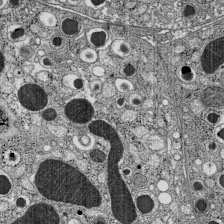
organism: C57BL Mouse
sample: Pancreatic islet